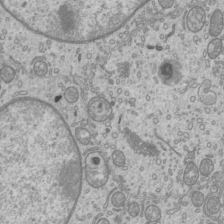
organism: Mouse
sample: Cilia; mouse epididymis